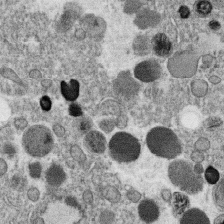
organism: C. elegans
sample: C. elegans oocyte; sperm cells